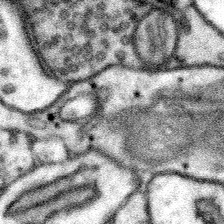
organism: Mouse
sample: Somatosensory cortex neuropil